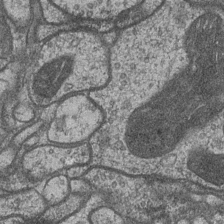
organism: Drosophila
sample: Optic medulla